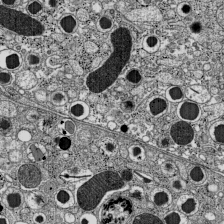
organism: C57BL Mouse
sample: Pancreatic islet